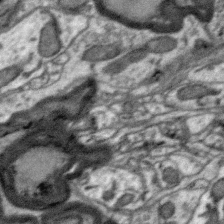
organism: Zebra finch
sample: Brain